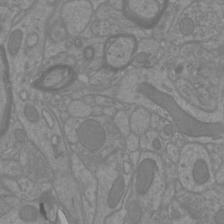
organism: Mouse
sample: Cortical neurons